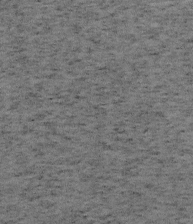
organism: Mouse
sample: OT-I killer T cells with ID8 ovarian cancer cells